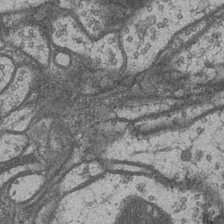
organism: Drosophila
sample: Optic medulla